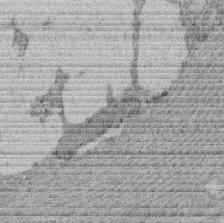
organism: Rat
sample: Salivary granule